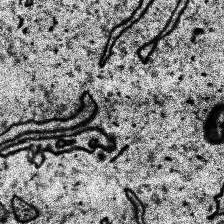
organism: Human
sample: Temporal Lobe